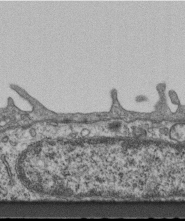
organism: Mouse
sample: Centriole in ependymal cells